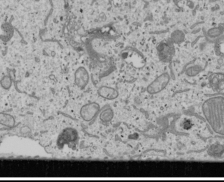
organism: Human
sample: Mitochondria in U2OS cells